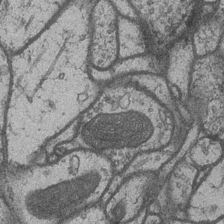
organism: Drosophila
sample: Optic medulla